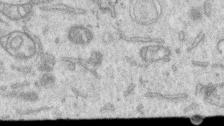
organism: Human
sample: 1205lu cells